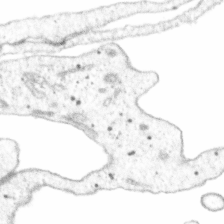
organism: Human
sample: HeLa cells